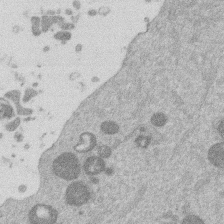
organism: Mouse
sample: Dividing mouse embryo 1 cell stage